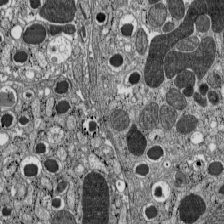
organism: C57BL Mouse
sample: Pancreatic islet